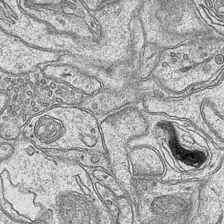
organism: Mouse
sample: CA1 Hippocampus